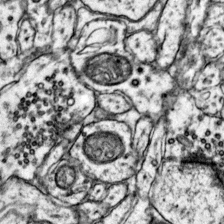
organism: Mouse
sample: Primary visual cortex